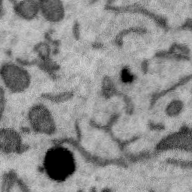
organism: Zebra finch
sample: Brain